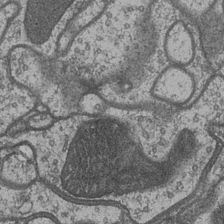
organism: Drosophila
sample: Optic medulla